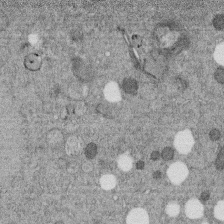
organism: C. elegans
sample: C. elegans embryo early stage